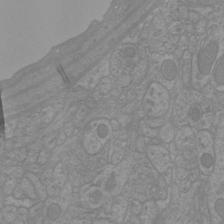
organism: Mouse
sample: Cortical neurons